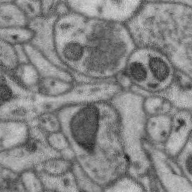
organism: Zebra finch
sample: Brain